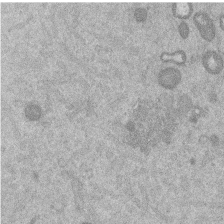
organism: Mouse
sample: Dividing mouse embryo 1 cell stage